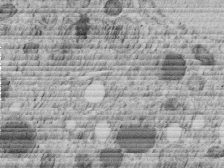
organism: C. elegans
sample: C. elegans embryo early stage